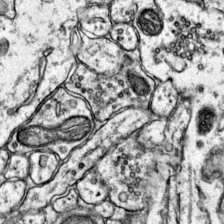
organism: Mouse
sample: Primary visual cortex